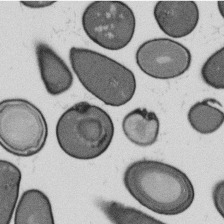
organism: B. subtilis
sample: Bacterial spore